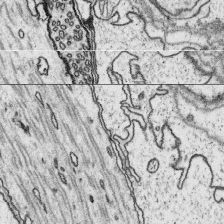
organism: Platynereis dumerilii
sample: Parapodia